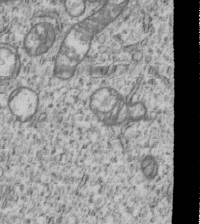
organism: Human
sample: MDA-MB-231 cells